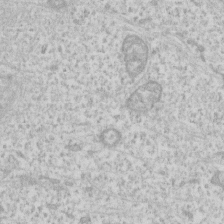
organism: Human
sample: Fibroblast cells